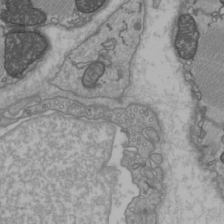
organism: C57BL Mouse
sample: Heart